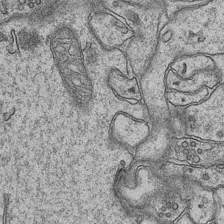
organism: Mouse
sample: CA1 Hippocampus